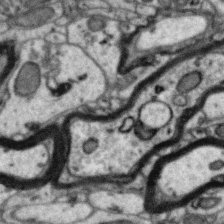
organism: Zebra finch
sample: Brain